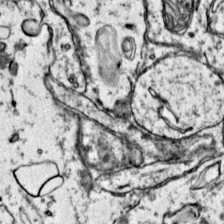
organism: Mouse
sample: Primary visual cortex